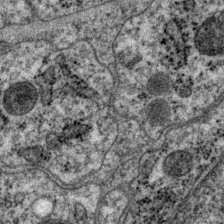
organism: P. pacificus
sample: Pharynx